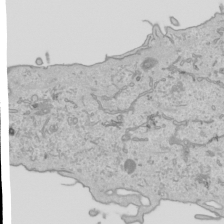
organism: Human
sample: Mitochondria in HCT116 cells